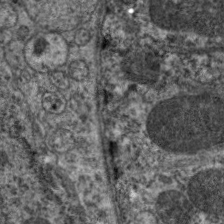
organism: C. elegans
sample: Pharynx